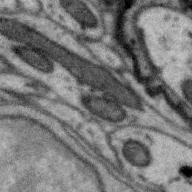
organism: Zebra finch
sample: Brain